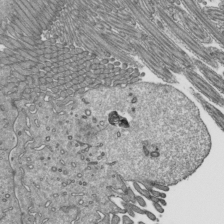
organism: Mouse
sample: Mouse epididymis efferent ductule cilia